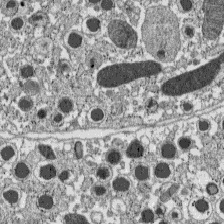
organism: C57BL Mouse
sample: Pancreatic islet